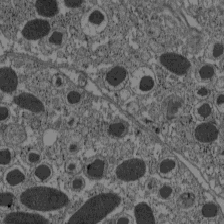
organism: C57BL Mouse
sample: Pancreatic islet